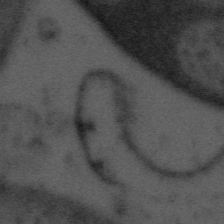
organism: Tuwongella immobilis